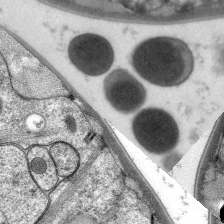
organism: C. elegans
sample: Pharynx